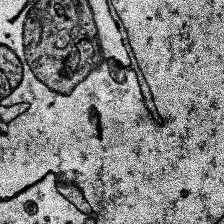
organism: Human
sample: Temporal Lobe